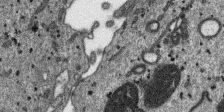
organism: Human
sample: Lung epithelial cells infected with SARS-CoV-2